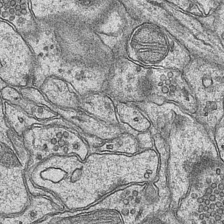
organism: Mouse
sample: CA1 Hippocampus